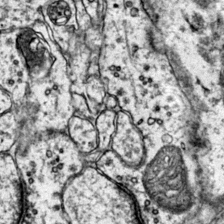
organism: Mouse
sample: Primary visual cortex